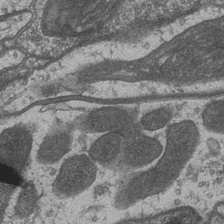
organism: Drosophila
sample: Optic medulla